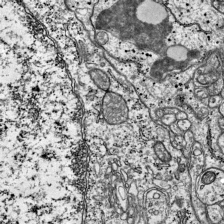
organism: Mouse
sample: Visual Cortex